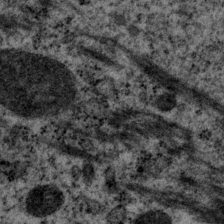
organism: P. pacificus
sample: Pharynx